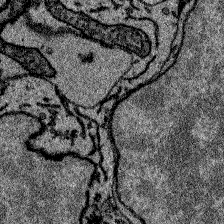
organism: Zebrafish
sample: Larval olfactory bulb